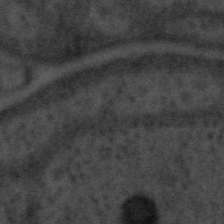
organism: Tuwongella immobilis